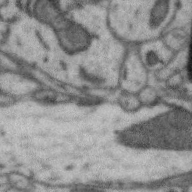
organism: Zebra finch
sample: Brain